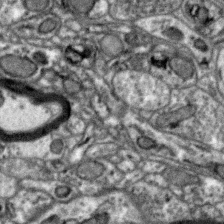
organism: Zebra finch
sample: Brain